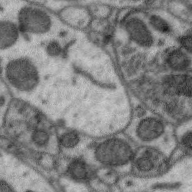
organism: Zebra finch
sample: Brain